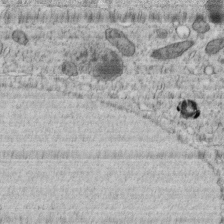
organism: C. elegans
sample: C. elegans embryo early stage